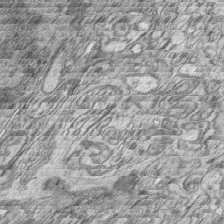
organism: Zebrafish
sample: synaptic ribbons in rod cells and cone cells